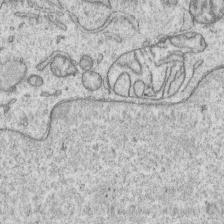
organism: Human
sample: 1205lu cells